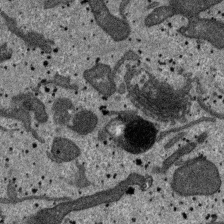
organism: Human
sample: Lung epithelial cells, uninfected (mock) control